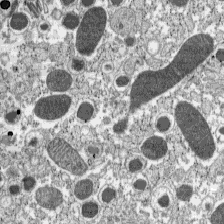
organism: C57BL Mouse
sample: Pancreatic islet